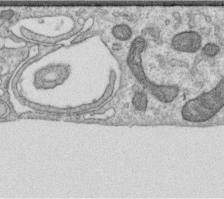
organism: Human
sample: Centriole in RPE cells